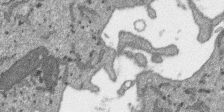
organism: Human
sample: Lung epithelial cells infected with SARS-CoV-2